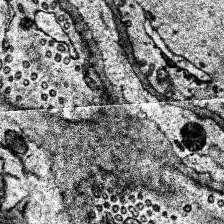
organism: Human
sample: Temporal Lobe